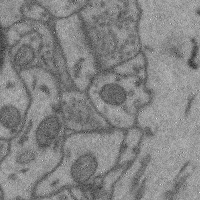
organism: Mouse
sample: Cerebral cortex